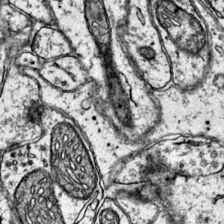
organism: Mouse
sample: Primary visual cortex